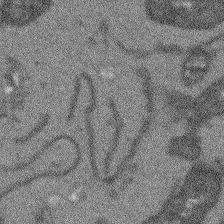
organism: Arabidopsis thaliana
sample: Root tip